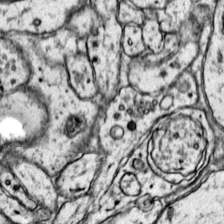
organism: Mouse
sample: Primary visual cortex